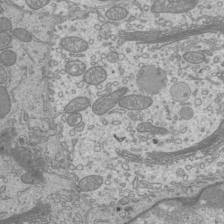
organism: Mouse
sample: Cilia; mouse epididymis